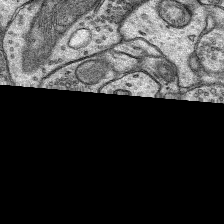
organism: Rat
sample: Hippocampus